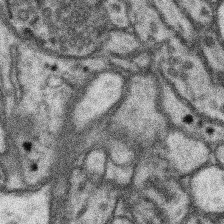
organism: Mouse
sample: Somatosensory cortex neuropil